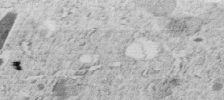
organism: C. elegans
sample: C. elegans embryo early stage